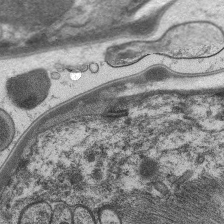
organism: C. elegans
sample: Pharynx